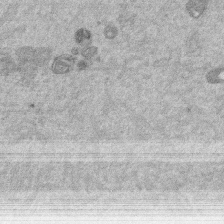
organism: Mouse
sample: Dividing mouse embryo 1 cell stage